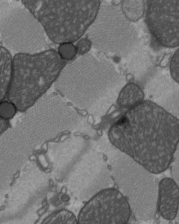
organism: C57BL Mouse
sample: Heart